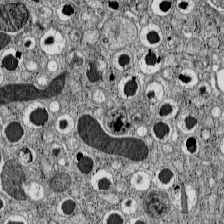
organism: C57BL Mouse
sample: Pancreatic islet